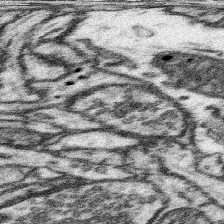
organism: Mouse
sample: Somatosensory cortex neuropil